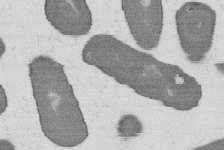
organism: B. subtilis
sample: Bacterial spore